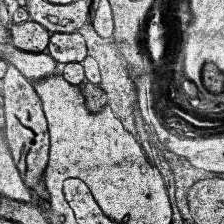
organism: Human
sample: Temporal Lobe